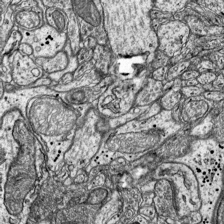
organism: Mouse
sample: Visual Cortex